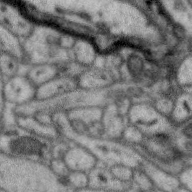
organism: Zebra finch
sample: Brain